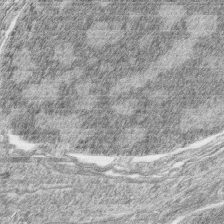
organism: Zebrafish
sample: synaptic ribbons in rod cells and cone cells